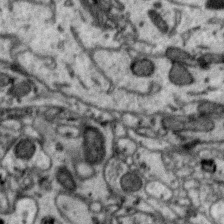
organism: Zebra finch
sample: Brain